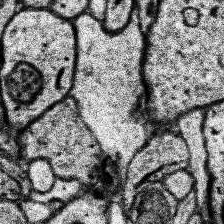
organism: Human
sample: Temporal Lobe